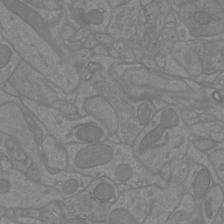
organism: Mouse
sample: Cortical neurons